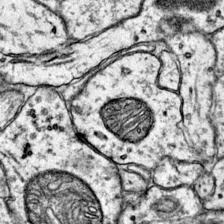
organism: Mouse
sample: Primary visual cortex